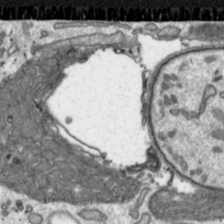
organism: Toxoplasma gondii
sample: Parasites in a vacuole inside a host cell